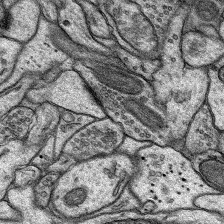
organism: Rat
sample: Hippocampus